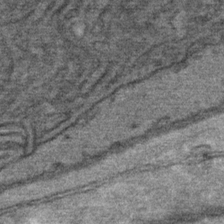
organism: Mouse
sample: Mouse Salivary gland